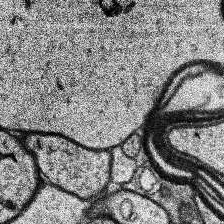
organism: Human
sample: Temporal Lobe